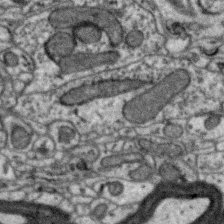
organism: Zebra finch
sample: Brain